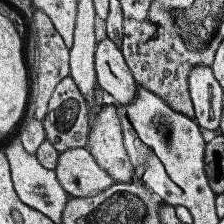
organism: Human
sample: Temporal Lobe